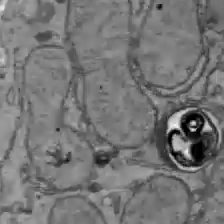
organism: C57BL Mouse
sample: Liver